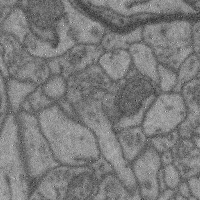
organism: Mouse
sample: Cerebral cortex